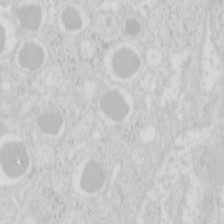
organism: Mouse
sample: Pancreas